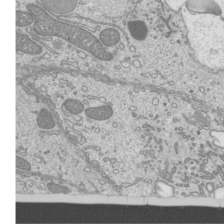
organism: Mouse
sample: Cilia; mouse epididymis